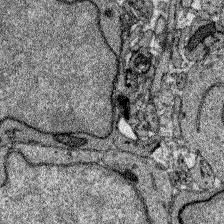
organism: Zebrafish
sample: Larval olfactory bulb